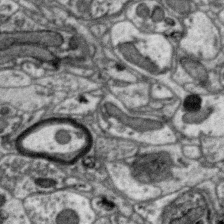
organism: Zebra finch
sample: Brain